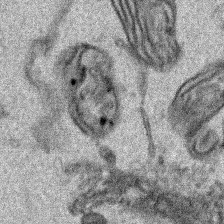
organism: Human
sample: Mitochondria in HCT116 cells